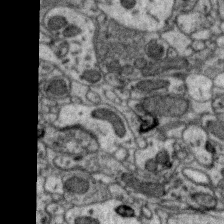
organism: Zebra finch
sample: Brain